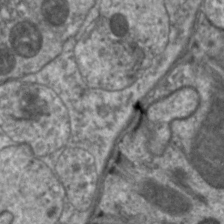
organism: C. elegans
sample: Pharynx